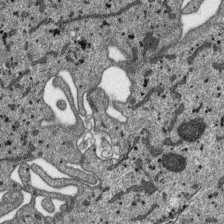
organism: Human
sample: Lung epithelial cells infected with SARS-CoV-2